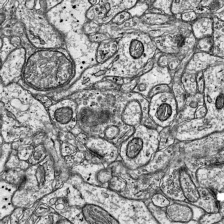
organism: Mouse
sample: Visual Cortex